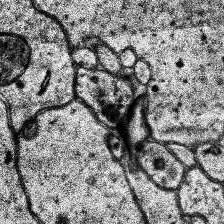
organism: Human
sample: Temporal Lobe